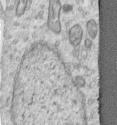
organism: Human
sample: Centriole in RPE cells